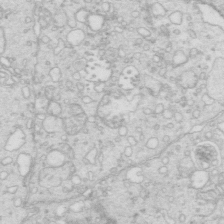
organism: Mouse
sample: Multiciliated cells